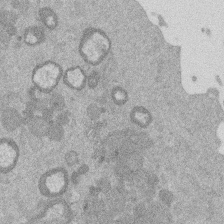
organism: Mouse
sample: Dividing mouse embryo 1 cell stage